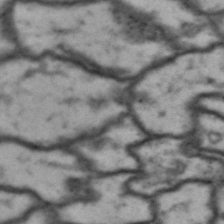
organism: Drosophila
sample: Brain